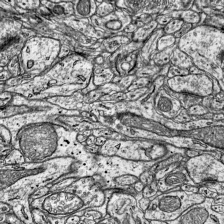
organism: Mouse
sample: Visual Cortex